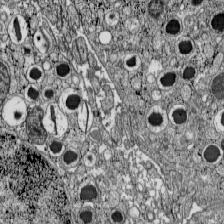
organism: C57BL Mouse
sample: Pancreatic islet